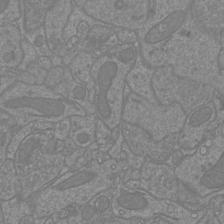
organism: Mouse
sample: Cortical neurons